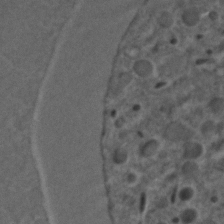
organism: C. elegans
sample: C. elegans embryo